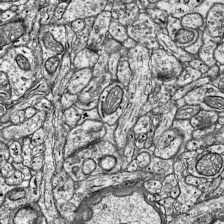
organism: Mouse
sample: Visual Cortex